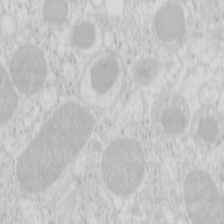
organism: Mouse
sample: Pancreas